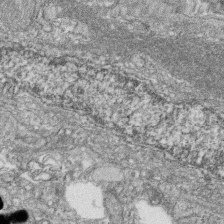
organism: Zebrafish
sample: Cilia; retinal pigment epithelium